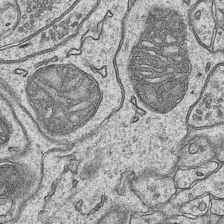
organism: Mouse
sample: CA1 Hippocampus